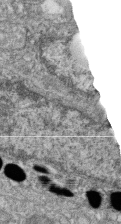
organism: Zebrafish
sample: Cilia; retinal pigment epithelium